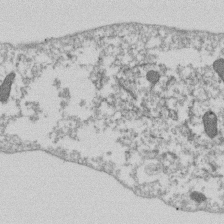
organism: Dictyostelium discoideum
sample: Dictyostelium multivesicular bodies